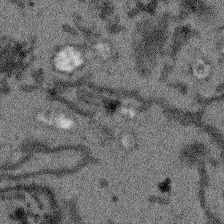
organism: Arabidopsis thaliana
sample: Root tip